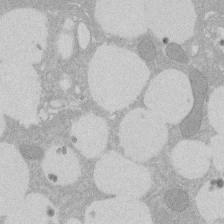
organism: Rat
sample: Salivary granule